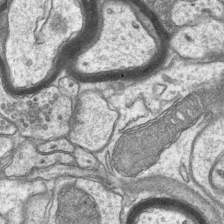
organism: Mouse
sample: CA1 Hippocampus